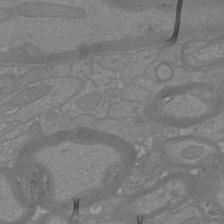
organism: Mouse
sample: Cortical neurons